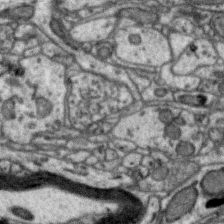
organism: Zebra finch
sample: Brain